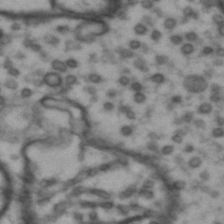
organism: Drosophila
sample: Brain